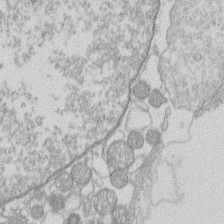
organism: Human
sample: Macrophage cells